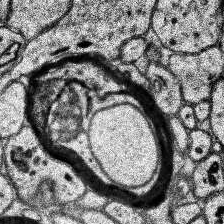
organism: Human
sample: Temporal Lobe